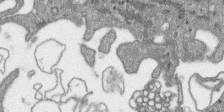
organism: Human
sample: Lung epithelial cells infected with SARS-CoV-2